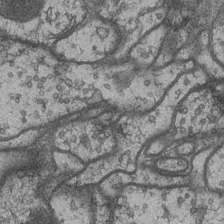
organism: Drosophila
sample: Optic medulla